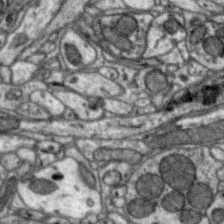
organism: Zebra finch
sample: Brain